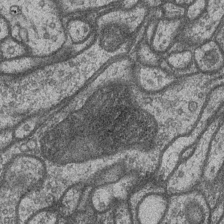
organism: Drosophila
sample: Optic medulla